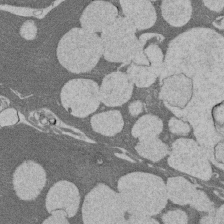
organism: Rat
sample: Salivary granule